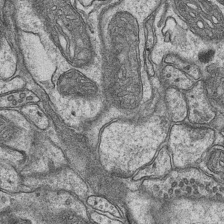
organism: Mouse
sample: CA1 Hippocampus